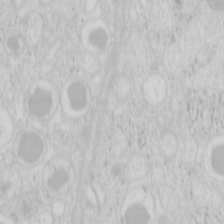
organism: Mouse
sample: Pancreas